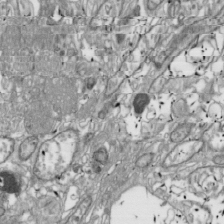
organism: Drosophila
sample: Cell division; meiosis; drosophila spermatocytes